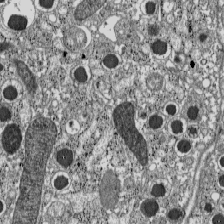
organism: C57BL Mouse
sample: Pancreatic islet